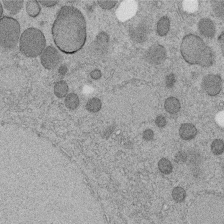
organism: C. elegans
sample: C. elegans embryo early stage